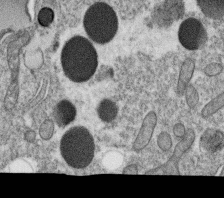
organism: C. elegans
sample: C. elegans oocyte; sperm cells